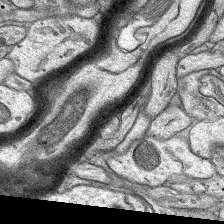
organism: Rat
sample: Hippocampus